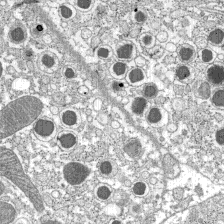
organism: C57BL Mouse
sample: Pancreatic islet